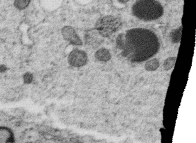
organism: C. elegans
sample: C. elegans oocyte; sperm cells